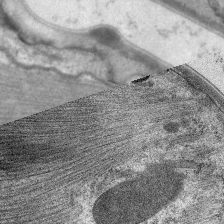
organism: C. elegans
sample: Pharynx